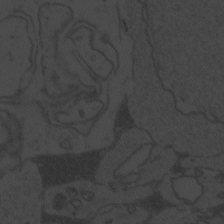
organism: Zebrafish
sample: Macrophage infected with Toxoplasma gondii